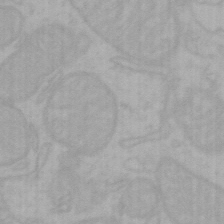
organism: Mouse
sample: Choroid plexus